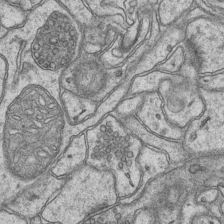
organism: Mouse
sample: CA1 Hippocampus